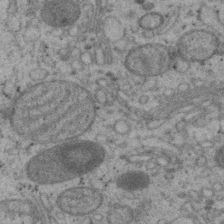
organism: Human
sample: HeLa cells